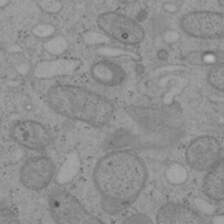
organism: Mouse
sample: OT-I killer T cells with ID8 ovarian cancer cells